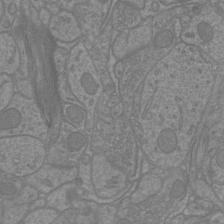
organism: Mouse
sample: Cortical neurons